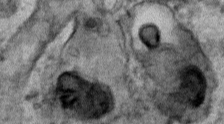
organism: Human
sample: Mitochondria in HCT116 cells